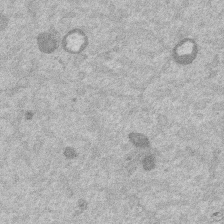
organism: Mouse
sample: Dividing mouse embryo 1 cell stage